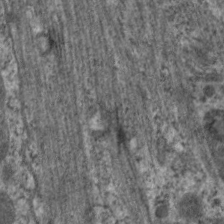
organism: C. elegans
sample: Pharynx